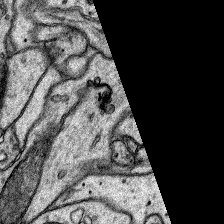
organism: Rat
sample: Hippocampus